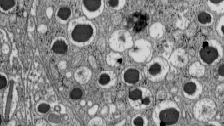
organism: C57BL Mouse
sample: Pancreatic islet